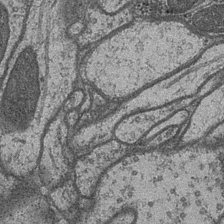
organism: Drosophila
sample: Optic medulla